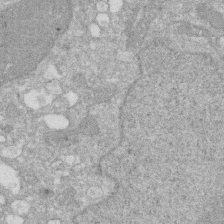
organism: Human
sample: HIV infected U937 cells